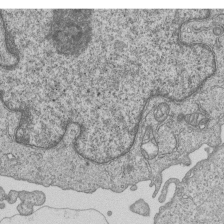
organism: Human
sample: MDA-MB-231 cells